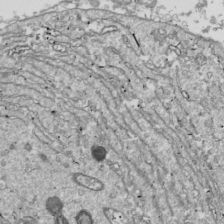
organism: Drosophila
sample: Cell division; meiosis; drosophila spermatocytes